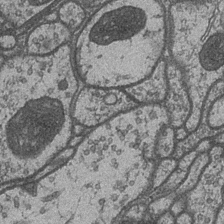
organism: Drosophila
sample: Optic medulla